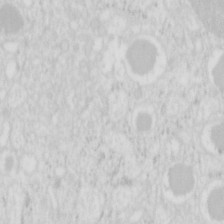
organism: Mouse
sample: Pancreas